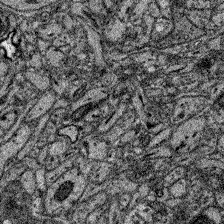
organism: Zebrafish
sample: Larval olfactory bulb